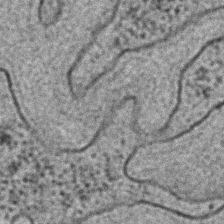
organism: C. elegans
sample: C. elegans embryo